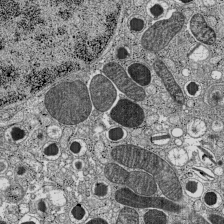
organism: C57BL Mouse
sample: Pancreatic islet